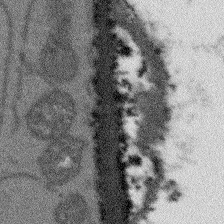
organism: Arabidopsis thaliana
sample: Root tip